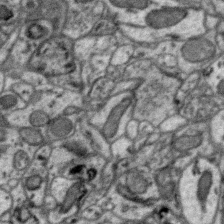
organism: Zebra finch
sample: Brain